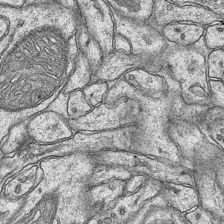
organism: Mouse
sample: CA1 Hippocampus